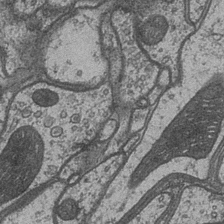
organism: Drosophila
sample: Optic medulla